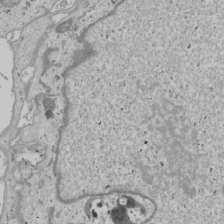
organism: Human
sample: Mitochondria in U2OS cells